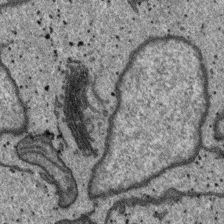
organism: Human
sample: Lung epithelial cells, uninfected (mock) control